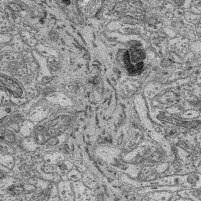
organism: Mouse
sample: Retina